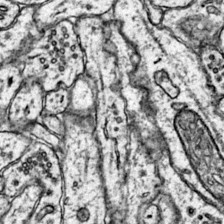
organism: Mouse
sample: Primary visual cortex